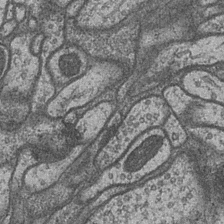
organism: Drosophila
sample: Optic medulla